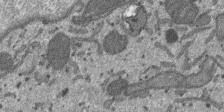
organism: Human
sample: Lung epithelial cells infected with SARS-CoV-2